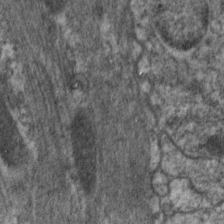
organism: C. elegans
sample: Pharynx